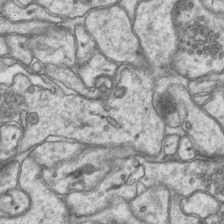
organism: Mouse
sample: CA1 Hippocampus